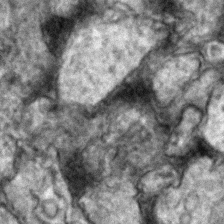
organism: Zebrafish